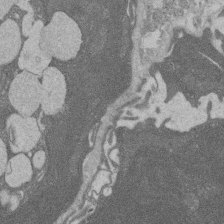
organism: Rat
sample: Salivary granule